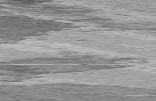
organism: C57BL Mouse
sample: Heart